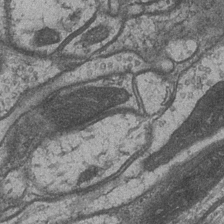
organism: Drosophila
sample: Optic medulla